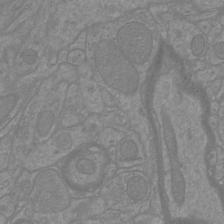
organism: Mouse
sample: Cortical neurons